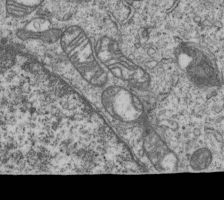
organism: Human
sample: MDA-MB-231 cells